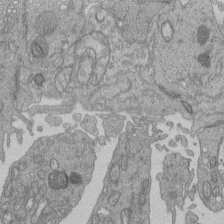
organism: Human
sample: Retinal organoid Rod and Cone cells